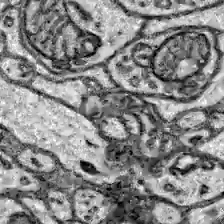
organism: Zebrafish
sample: Brain